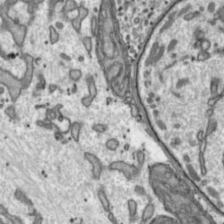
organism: Toxoplasma gondii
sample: Parasites in a vacuole inside a host cell